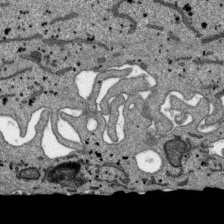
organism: Human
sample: Lung epithelial cells, uninfected (mock) control